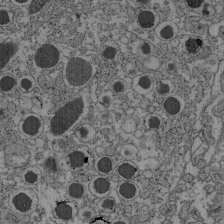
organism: C57BL Mouse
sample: Pancreatic islet